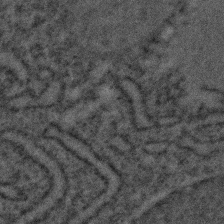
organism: C. elegans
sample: C. elegans embryo